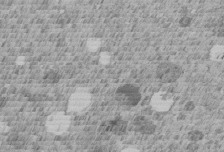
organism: C. elegans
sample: C. elegans embryo early stage